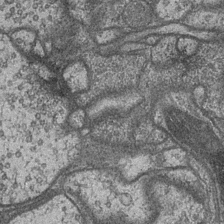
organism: Drosophila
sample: Optic medulla